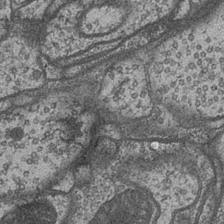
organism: Drosophila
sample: Optic medulla